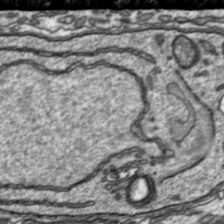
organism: Toxoplasma gondii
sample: Parasites in a vacuole inside a host cell